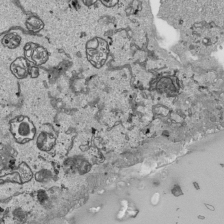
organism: Human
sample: Mitochondria in HCT116 cells